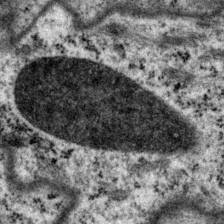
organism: P. pacificus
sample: Pharynx